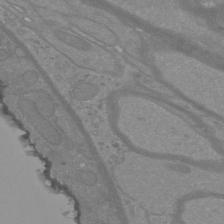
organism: Mouse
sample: Cortical neurons